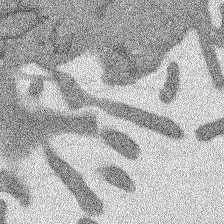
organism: Human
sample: HeLa cells